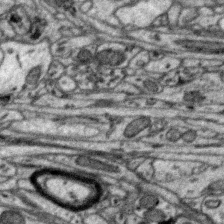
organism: Zebra finch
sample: Brain